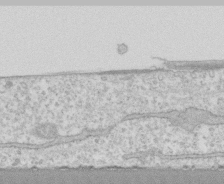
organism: Human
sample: CRL-1474